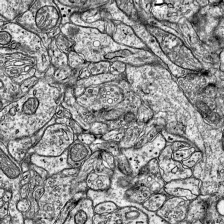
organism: Mouse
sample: Visual Cortex